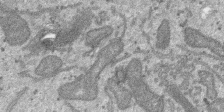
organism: Human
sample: Lung epithelial cells infected with SARS-CoV-2